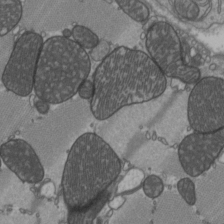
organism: C57BL Mouse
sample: Heart